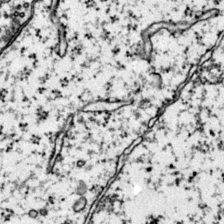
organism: Mouse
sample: Primary visual cortex